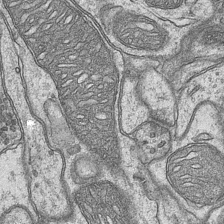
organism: Mouse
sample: CA1 Hippocampus